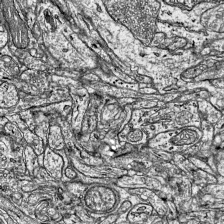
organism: Mouse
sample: Visual Cortex